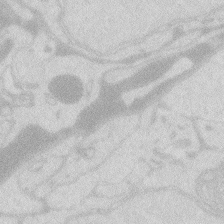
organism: Zebrafish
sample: Macrophage